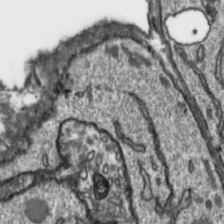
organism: Toxoplasma gondii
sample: Parasites in a vacuole inside a host cell